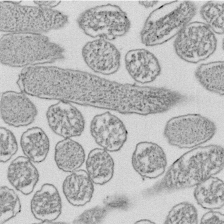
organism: E. coli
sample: Bacterial nucleoid